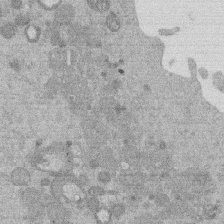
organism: Mouse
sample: Dividing mouse embryo 1 cell stage